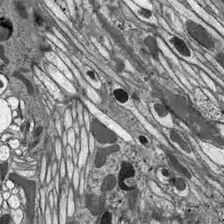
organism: Drosophila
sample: Optic lobe